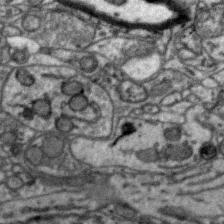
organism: Zebra finch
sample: Brain